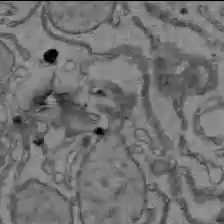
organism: C57BL Mouse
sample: Liver